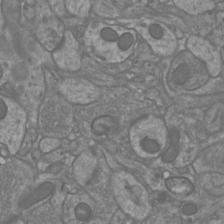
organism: Mouse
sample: Cortical neurons